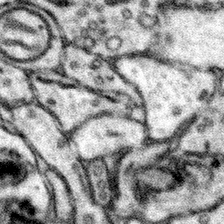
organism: Mouse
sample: Somatosensory cortex neuropil